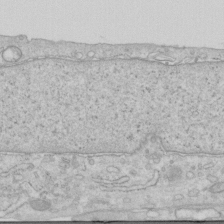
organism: Human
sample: Centriole in RPE cells